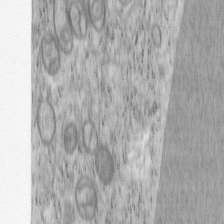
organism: Human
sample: HeLa cells